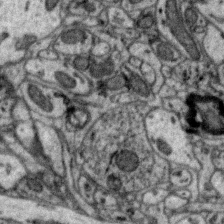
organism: Zebra finch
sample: Brain